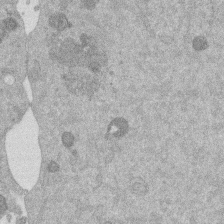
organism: Mouse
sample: Dividing mouse embryo 1 cell stage